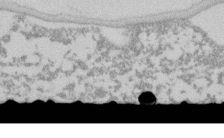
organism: C. elegans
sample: C. elegans embryo early stage